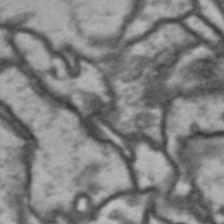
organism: Drosophila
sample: Brain